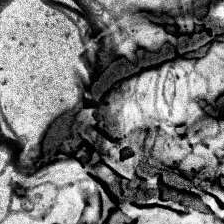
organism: Human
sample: Temporal Lobe